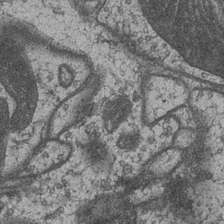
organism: Drosophila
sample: Optic medulla